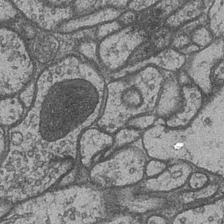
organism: Drosophila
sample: Optic medulla